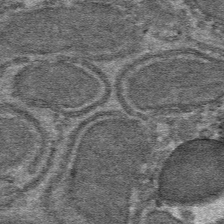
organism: Mouse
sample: Mouse hepatocytes